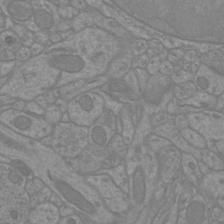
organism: Mouse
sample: Cortical neurons